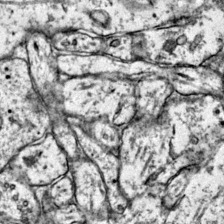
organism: Mouse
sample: Primary visual cortex